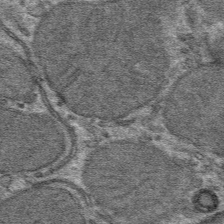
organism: Mouse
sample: Mouse hepatocytes